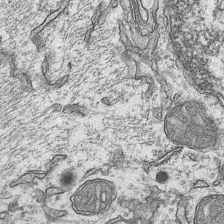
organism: Mouse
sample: CA1 Hippocampus